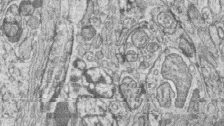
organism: Zebrafish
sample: synaptic ribbons in rod cells and cone cells